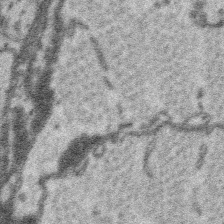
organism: Platynereis dumerilii